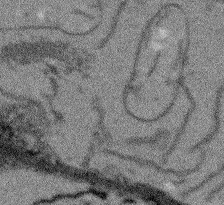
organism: Arabidopsis thaliana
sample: Root tip